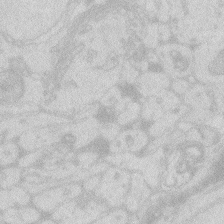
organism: Zebrafish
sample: Macrophage